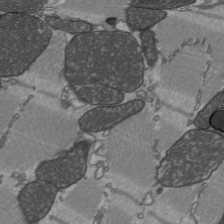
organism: C57BL Mouse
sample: Heart